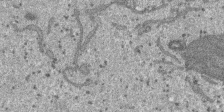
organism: Human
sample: Lung epithelial cells infected with SARS-CoV-2